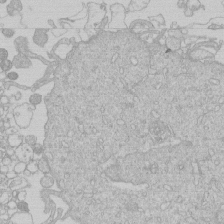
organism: Human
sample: Macrophage cells